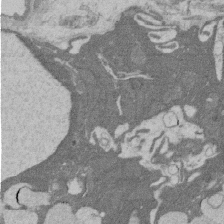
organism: Rat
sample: Salivary granule